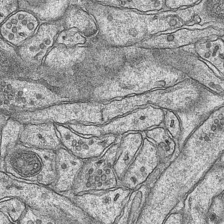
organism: Mouse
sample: CA1 Hippocampus